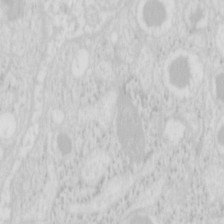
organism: Mouse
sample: Pancreas